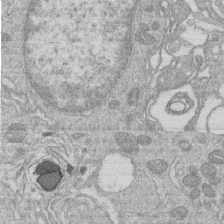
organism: Human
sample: Macrophage cells